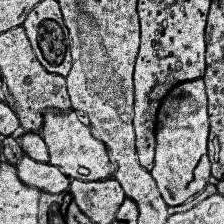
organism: Human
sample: Temporal Lobe